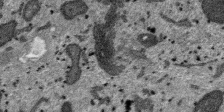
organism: Human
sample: Lung epithelial cells, uninfected (mock) control